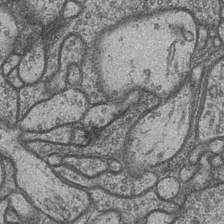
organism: Drosophila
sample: Optic medulla